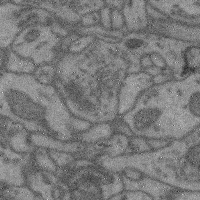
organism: Mouse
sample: Cerebral cortex